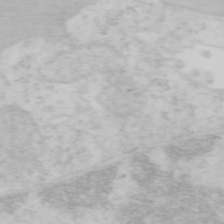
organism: Mouse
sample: OT-I killer T cells with ID8 ovarian cancer cells